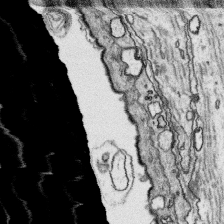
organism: Platynereis dumerilii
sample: Parapodia